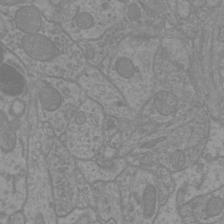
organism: Mouse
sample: Cortical neurons